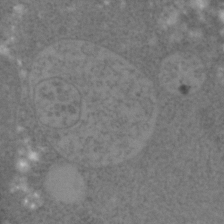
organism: C. elegans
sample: C. elegans embryo